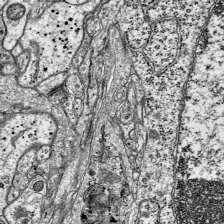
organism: Mouse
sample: Visual Cortex